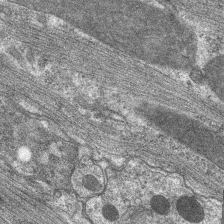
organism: C. elegans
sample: Pharynx